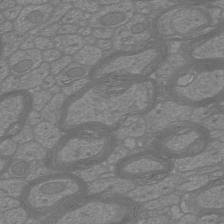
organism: Mouse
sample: Cortical neurons